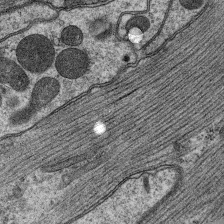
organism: C. elegans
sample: Pharynx